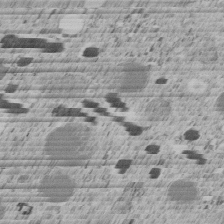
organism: C. elegans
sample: C. elegans embryo early stage